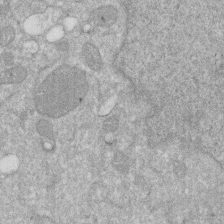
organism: Human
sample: HIV infected U937 cells